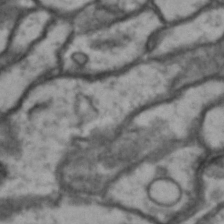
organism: Drosophila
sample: Brain